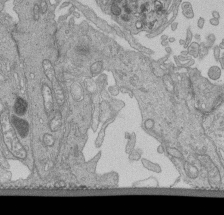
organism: Human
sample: Retinal organoid Rod and Cone cells